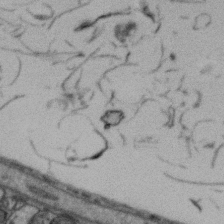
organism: Zebra finch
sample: Brain